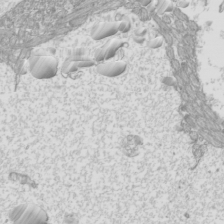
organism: Mouse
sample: Cilia; mouse epididymis